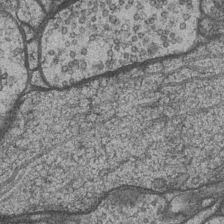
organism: Drosophila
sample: Optic medulla